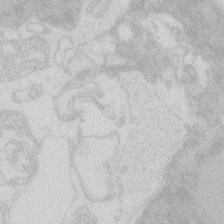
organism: Zebrafish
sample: Macrophage